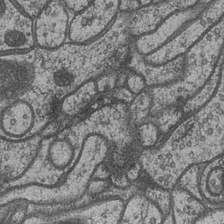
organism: Drosophila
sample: Optic medulla